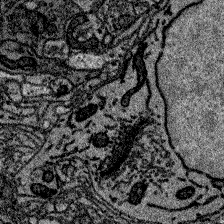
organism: Zebrafish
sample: Larval olfactory bulb